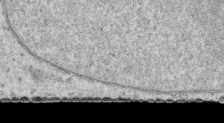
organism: Human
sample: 1205lu cells